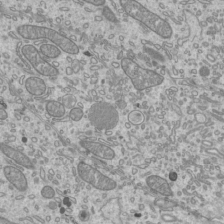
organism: Mouse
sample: Cilia; mouse epididymis